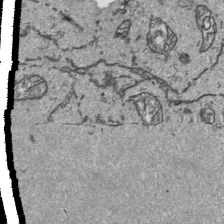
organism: Human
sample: Mitochondria in HCT116 cells